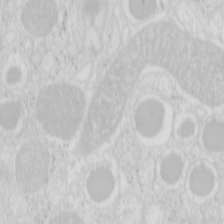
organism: Mouse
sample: Pancreas